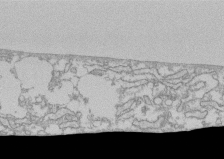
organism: Human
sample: CRL-1474